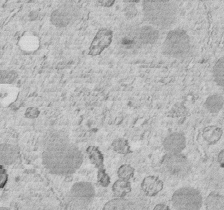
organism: C. elegans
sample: C. elegans embryo early stage